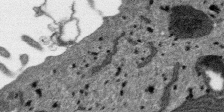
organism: Human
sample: Lung epithelial cells, uninfected (mock) control